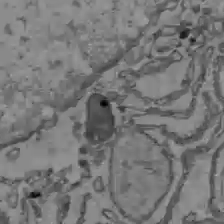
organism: C57BL Mouse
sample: Liver